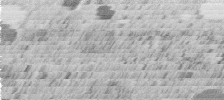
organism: C. elegans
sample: C. elegans embryo early stage